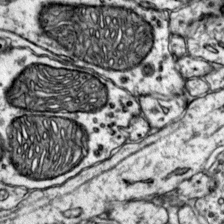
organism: Mouse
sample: Primary visual cortex